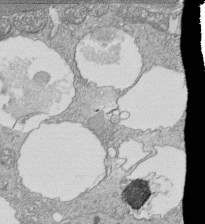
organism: Tetrahymena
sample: Cilia in tetrahymena